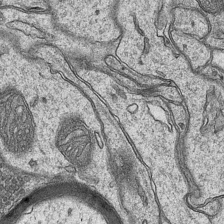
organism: Mouse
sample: CA1 Hippocampus